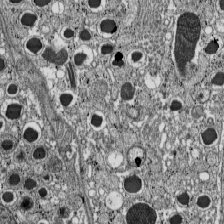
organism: C57BL Mouse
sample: Pancreatic islet